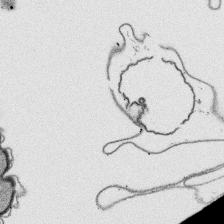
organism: Platynereis dumerilii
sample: Parapodia